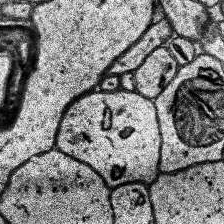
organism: Human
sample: Temporal Lobe